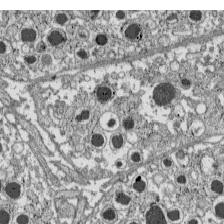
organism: C57BL Mouse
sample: Pancreatic islet